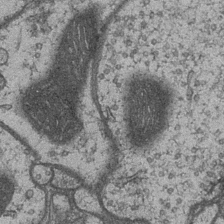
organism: Drosophila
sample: Optic medulla